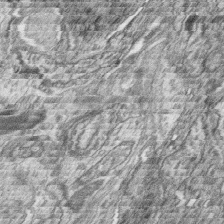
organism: Zebrafish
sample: synaptic ribbons in rod cells and cone cells